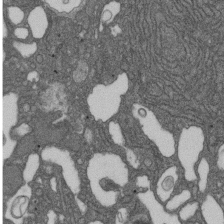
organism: Drosophila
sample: Nephrocyte